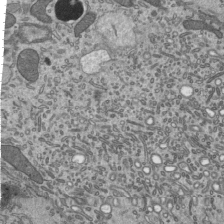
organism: Mouse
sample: Mouse epididymis efferent ductule cilia